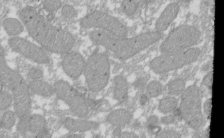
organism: Xenopus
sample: Cilia; centrioles in frog embryo cells